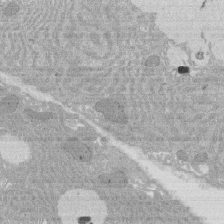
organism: Rat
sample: Salivary granule